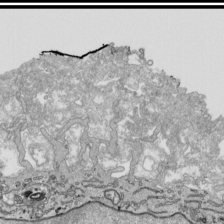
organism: Human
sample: Mitochondria in HCT116 cells